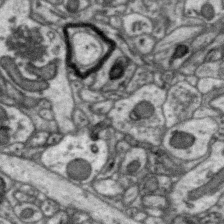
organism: Zebra finch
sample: Brain